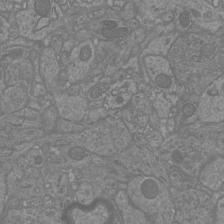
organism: Mouse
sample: Cortical neurons